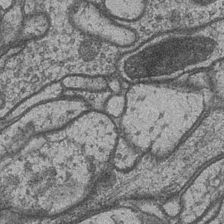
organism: Drosophila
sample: Optic medulla